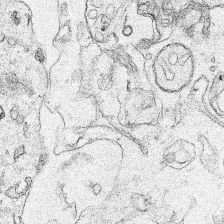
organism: Human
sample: Mitochondria in HCT116 cells